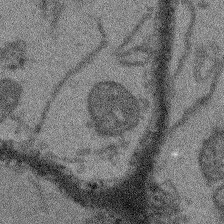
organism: Arabidopsis thaliana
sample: Root tip